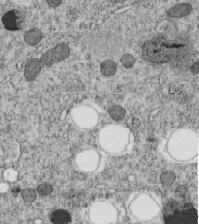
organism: C. elegans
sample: C. elegans embryo early stage